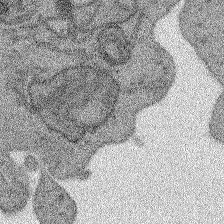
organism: Human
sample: HeLa cells